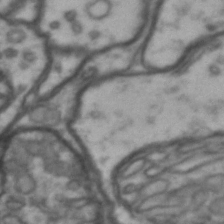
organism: Drosophila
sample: Brain